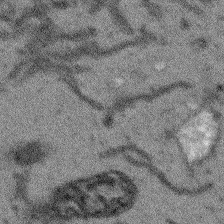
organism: Arabidopsis thaliana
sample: Root tip